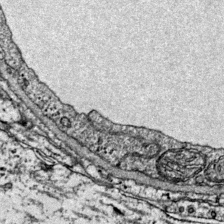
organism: Mouse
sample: Primary visual cortex